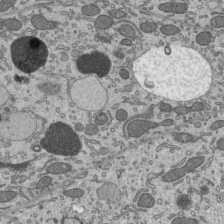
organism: Mouse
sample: Mouse epididymis efferent ductule cilia